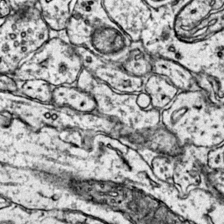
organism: Mouse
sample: Primary visual cortex